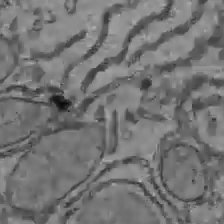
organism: C57BL Mouse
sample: Liver